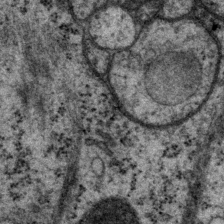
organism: P. pacificus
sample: Pharynx